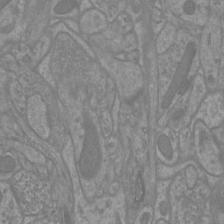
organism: Mouse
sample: Cortical neurons